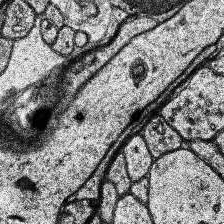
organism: Human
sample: Temporal Lobe